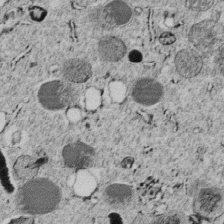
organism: C. elegans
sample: C. elegans embryo early stage